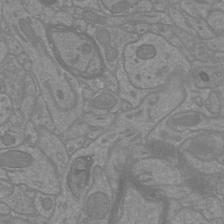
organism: Mouse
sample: Cortical neurons